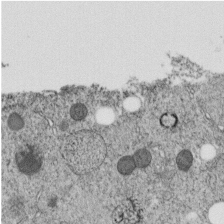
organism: C. elegans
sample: C. elegans embryo early stage